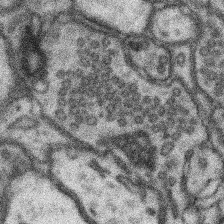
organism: Mouse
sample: Somatosensory cortex neuropil